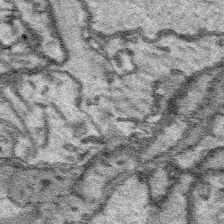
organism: Platynereis dumerilii